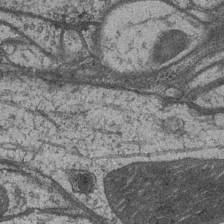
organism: Drosophila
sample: Optic medulla